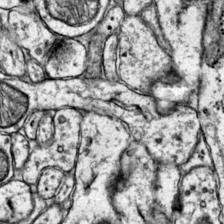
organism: Mouse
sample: Primary visual cortex